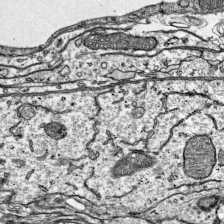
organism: Mouse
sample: Visual Cortex